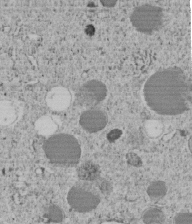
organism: C. elegans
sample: C. elegans embryo early stage